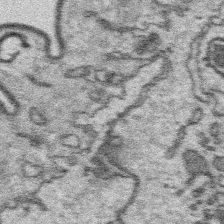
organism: Platynereis dumerilii